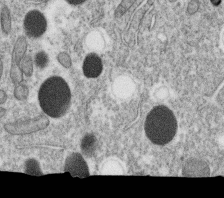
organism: C. elegans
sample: C. elegans oocyte; sperm cells